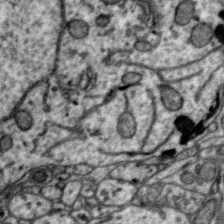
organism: Zebra finch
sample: Brain